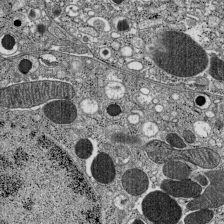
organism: C57BL Mouse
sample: Pancreatic islet